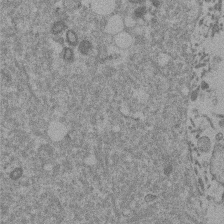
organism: Mouse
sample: Dividing mouse embryo 1 cell stage